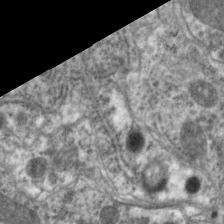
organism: C. elegans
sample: Pharynx